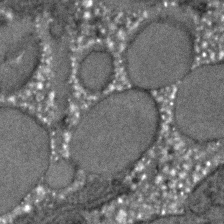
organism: C. elegans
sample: C. elegans embryo